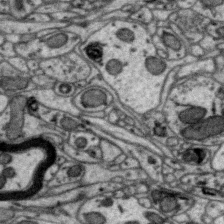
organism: Zebra finch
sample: Brain